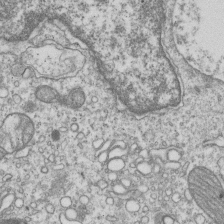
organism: Human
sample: MDA-MB-231 cells